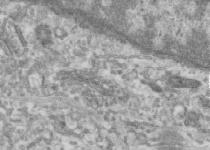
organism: Human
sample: Centriole in RPE cells